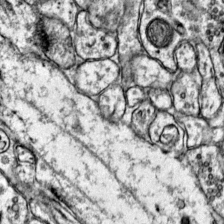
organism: Mouse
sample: Primary visual cortex